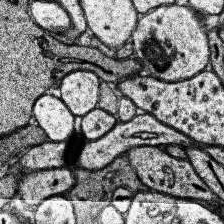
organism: Human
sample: Temporal Lobe